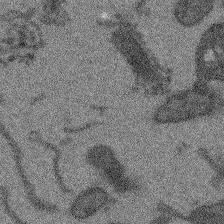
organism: Arabidopsis thaliana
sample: Root tip